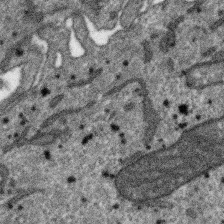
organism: Human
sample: Lung epithelial cells infected with SARS-CoV-2